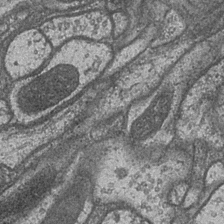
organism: Drosophila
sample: Optic medulla